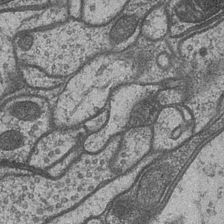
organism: Drosophila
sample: Optic medulla